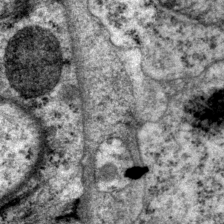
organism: P. pacificus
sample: Pharynx